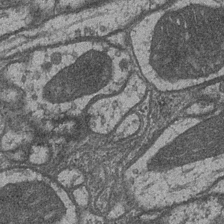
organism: Drosophila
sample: Optic medulla